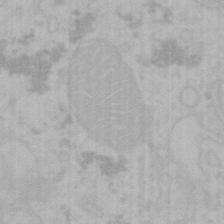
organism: Mouse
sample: Choroid plexus